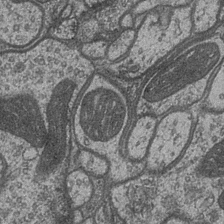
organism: Drosophila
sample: Optic medulla